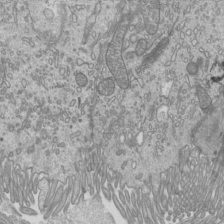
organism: Mouse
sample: Cilia; mouse epididymis